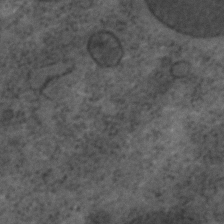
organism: C. elegans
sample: C. elegans embryo